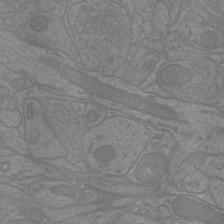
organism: Mouse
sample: Cortical neurons